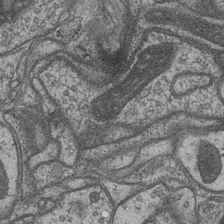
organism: Drosophila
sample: Optic medulla